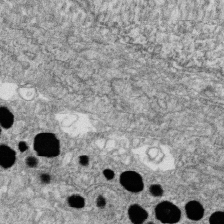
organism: Zebrafish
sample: Cilia; retinal pigment epithelium